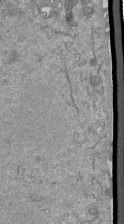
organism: Mouse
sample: ED-1 cell nuclei; centrioles